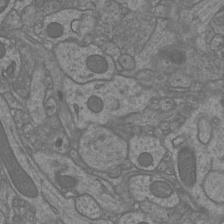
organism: Mouse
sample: Cortical neurons